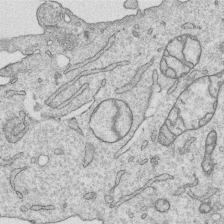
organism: Human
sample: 1205lu cells